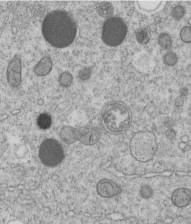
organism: C. elegans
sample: C. elegans embryo early stage